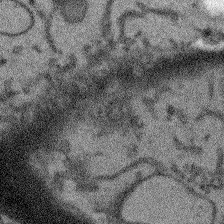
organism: Arabidopsis thaliana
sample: Root tip